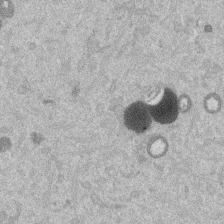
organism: Mouse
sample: Dividing mouse embryo 1 cell stage